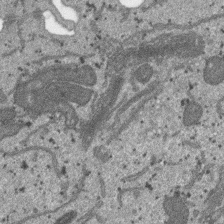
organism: Human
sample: Lung epithelial cells infected with SARS-CoV-2